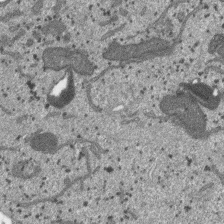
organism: Human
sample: Lung epithelial cells infected with SARS-CoV-2